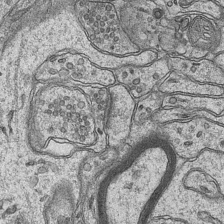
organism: Mouse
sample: CA1 Hippocampus